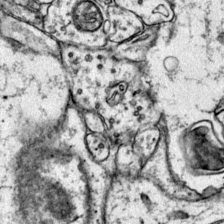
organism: Mouse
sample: Primary visual cortex